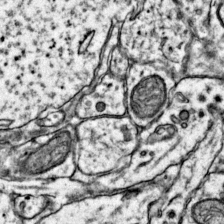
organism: Mouse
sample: Primary visual cortex